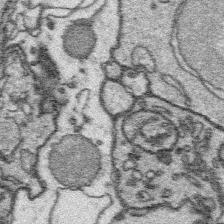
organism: Platynereis dumerilii